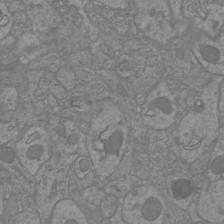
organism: Mouse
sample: Cortical neurons